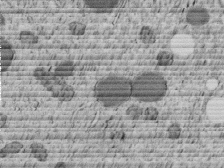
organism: C. elegans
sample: C. elegans embryo early stage